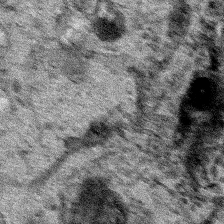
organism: Human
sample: Mitochondria in HCT116 cells